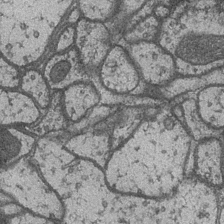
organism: Drosophila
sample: Optic medulla